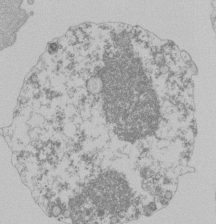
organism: Mouse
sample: Activated Pmel transgenic CD8+ T Cells